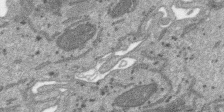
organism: Human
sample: Lung epithelial cells infected with SARS-CoV-2